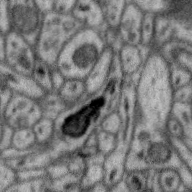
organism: Zebra finch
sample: Brain